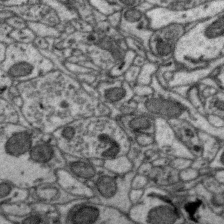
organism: Zebra finch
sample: Brain